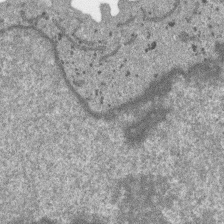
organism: Human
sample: Lung epithelial cells infected with SARS-CoV-2